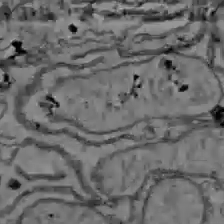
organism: C57BL Mouse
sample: Liver